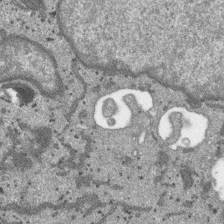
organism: Human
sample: Lung epithelial cells infected with SARS-CoV-2